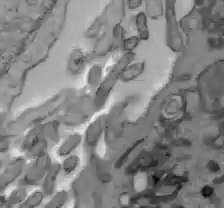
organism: C57BL Mouse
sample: Liver